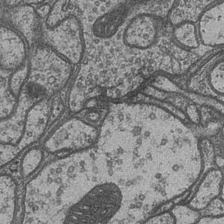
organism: Drosophila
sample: Optic medulla